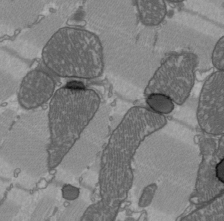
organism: C57BL Mouse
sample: Heart